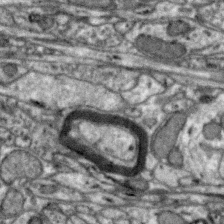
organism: Zebra finch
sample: Brain